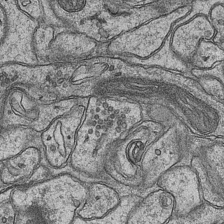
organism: Mouse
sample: CA1 Hippocampus